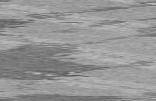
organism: C57BL Mouse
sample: Heart